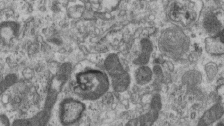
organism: Mouse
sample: Centriole in ependymal cells